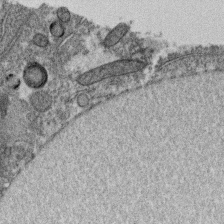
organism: C. elegans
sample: C. elegans oocyte; sperm cells